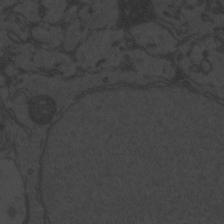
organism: Zebrafish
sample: Macrophage infected with Toxoplasma gondii